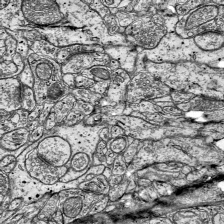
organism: Mouse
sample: Visual Cortex